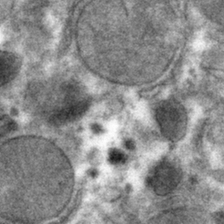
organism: Mouse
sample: Mouse hepatocytes